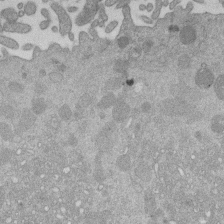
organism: Mouse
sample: Dividing mouse embryo 1 cell stage